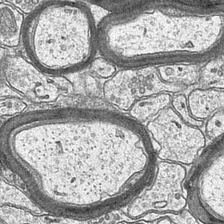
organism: Mouse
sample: CA1 Hippocampus